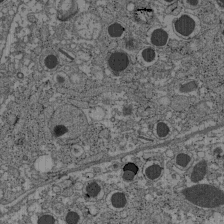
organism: C57BL Mouse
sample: Pancreatic islet